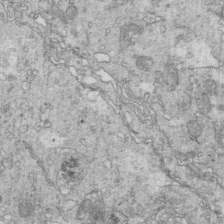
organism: Mouse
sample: Multiciliated cells